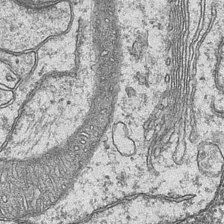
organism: Mouse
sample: CA1 Hippocampus